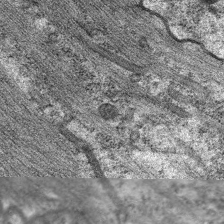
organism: C. elegans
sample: Pharynx